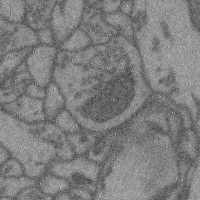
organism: Mouse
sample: Cerebral cortex